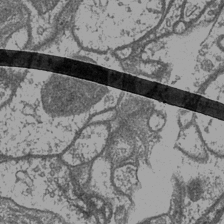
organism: Drosophila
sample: Optic medulla